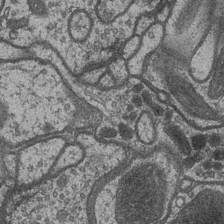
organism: Drosophila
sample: Optic medulla